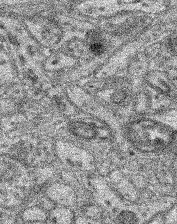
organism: Mouse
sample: Retina